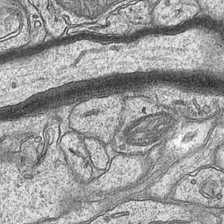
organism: Mouse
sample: CA1 Hippocampus